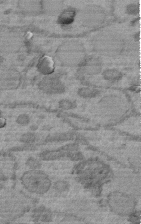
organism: C. elegans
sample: C. elegans embryo early stage